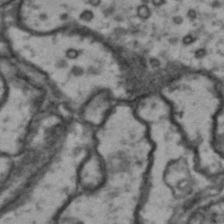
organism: Drosophila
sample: Brain